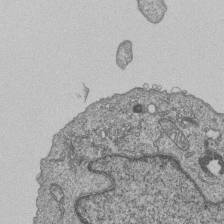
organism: Human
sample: MDA-MB-231 cells